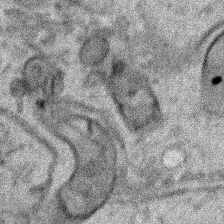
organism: Human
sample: Mitochondria in HCT116 cells